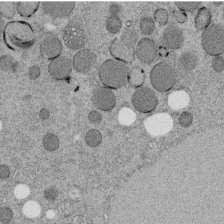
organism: C. elegans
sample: C. elegans embryo early stage